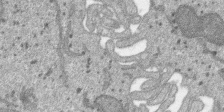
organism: Human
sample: Lung epithelial cells infected with SARS-CoV-2